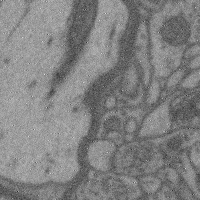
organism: Mouse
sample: Cerebral cortex